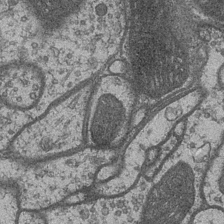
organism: Drosophila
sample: Optic medulla